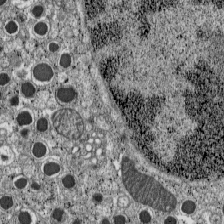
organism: C57BL Mouse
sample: Pancreatic islet